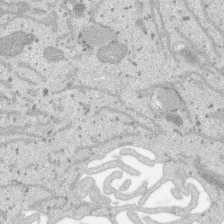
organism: Human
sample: Lung epithelial cells infected with SARS-CoV-2